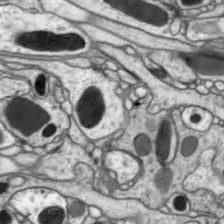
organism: Drosophila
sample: Optic lobe